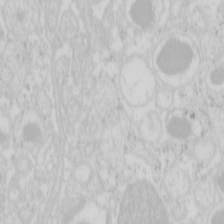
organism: Mouse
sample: Pancreas